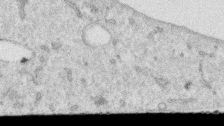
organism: Human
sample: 1205lu cells